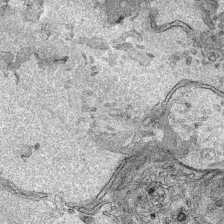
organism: Human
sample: Mitochondria in HCT116 cells